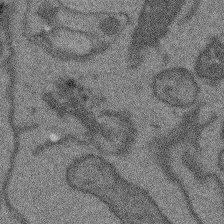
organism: Arabidopsis thaliana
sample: Root tip